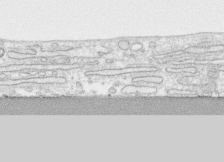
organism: Human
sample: CRL-1474